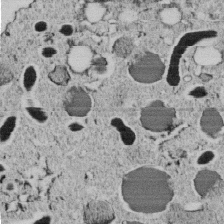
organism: C. elegans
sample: C. elegans embryo early stage